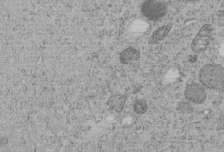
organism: C. elegans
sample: C. elegans embryo early stage